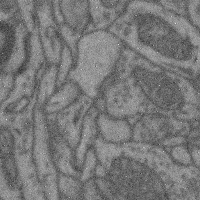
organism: Mouse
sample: Cerebral cortex